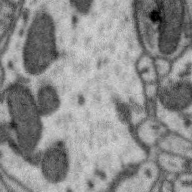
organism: Zebra finch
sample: Brain